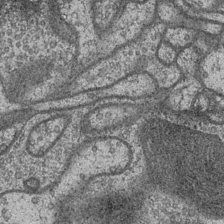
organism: Drosophila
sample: Optic medulla